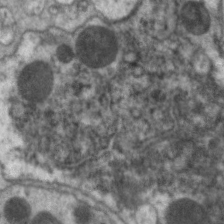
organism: C. elegans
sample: Pharynx